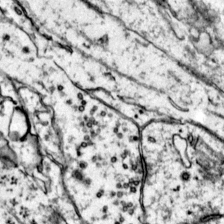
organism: Mouse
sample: Primary visual cortex